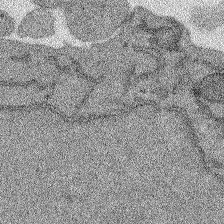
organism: Human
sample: HeLa cells